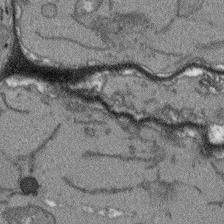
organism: Arabidopsis thaliana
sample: Root tip